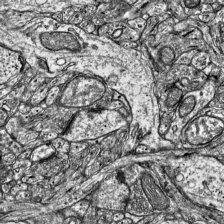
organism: Mouse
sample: Visual Cortex